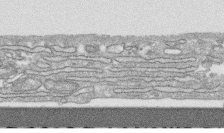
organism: Human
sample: CRL-1474